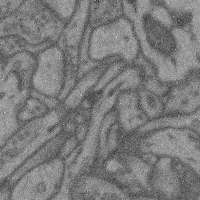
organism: Mouse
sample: Cerebral cortex